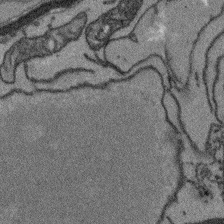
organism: Arabidopsis thaliana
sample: Root tip